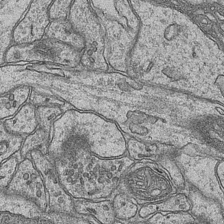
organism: Mouse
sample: CA1 Hippocampus